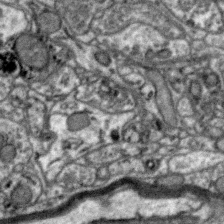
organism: Zebra finch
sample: Brain